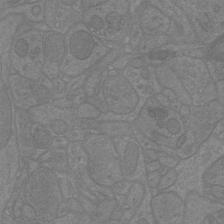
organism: Mouse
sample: Cortical neurons